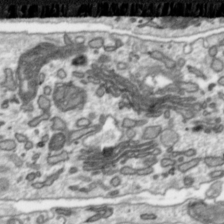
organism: Toxoplasma gondii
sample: Parasites in a vacuole inside a host cell